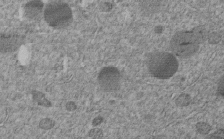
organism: C. elegans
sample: C. elegans embryo early stage